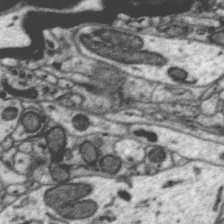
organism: Zebra finch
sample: Brain